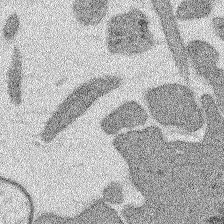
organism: Human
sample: HeLa cells